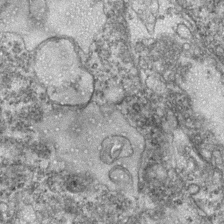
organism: Zebrafish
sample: Zebrafish embryo